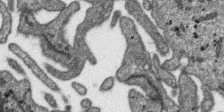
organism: Human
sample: Lung epithelial cells infected with SARS-CoV-2